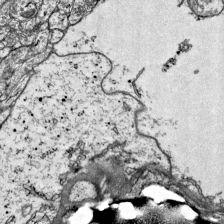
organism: Mouse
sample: Visual Cortex